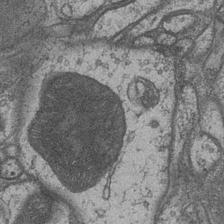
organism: Drosophila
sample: Optic medulla